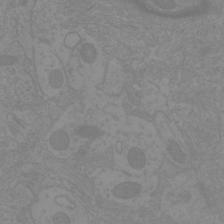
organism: Mouse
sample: Cortical neurons